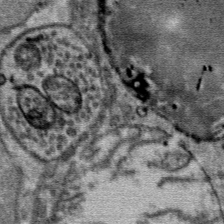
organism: Mouse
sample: Mouse Salivary gland